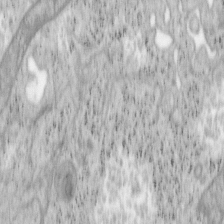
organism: Human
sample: HeLa cells